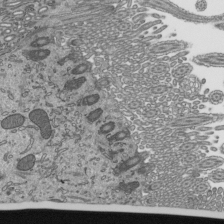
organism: Mouse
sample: Mouse epididymis efferent ductule cilia